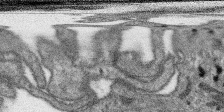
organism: Human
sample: Lung epithelial cells infected with SARS-CoV-2